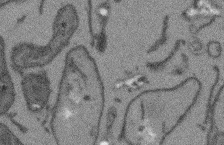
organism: Arabidopsis thaliana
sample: Root tip